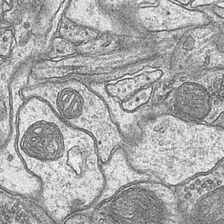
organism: Mouse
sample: CA1 Hippocampus